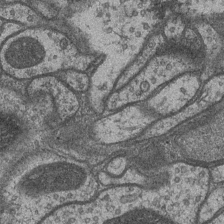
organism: Drosophila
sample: Optic medulla